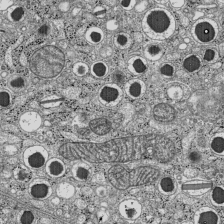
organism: C57BL Mouse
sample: Pancreatic islet